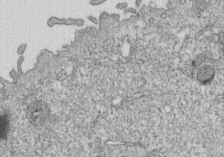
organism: Human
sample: HeLa cell HIV synapse